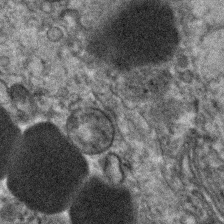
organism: Human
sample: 1205lu cells